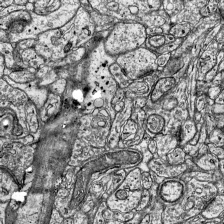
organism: Mouse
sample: Visual Cortex